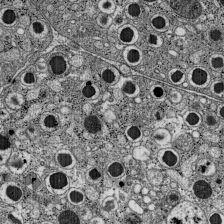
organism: C57BL Mouse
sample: Pancreatic islet